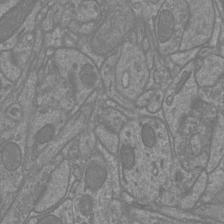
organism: Mouse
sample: Cortical neurons